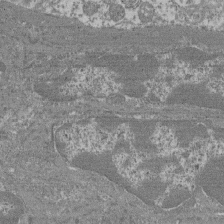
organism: Mouse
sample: Glomerulus